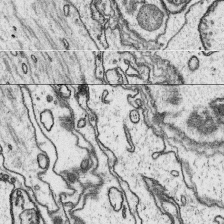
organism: Platynereis dumerilii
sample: Parapodia